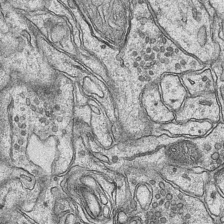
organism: Mouse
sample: CA1 Hippocampus